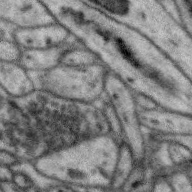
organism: Zebra finch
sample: Brain